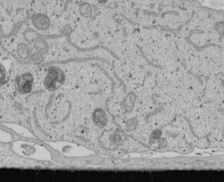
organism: Human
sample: Mitochondria in U2OS cells